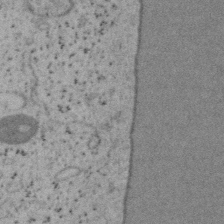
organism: Human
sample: HeLa cells